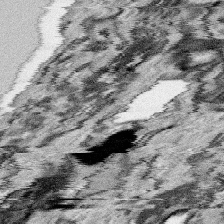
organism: Human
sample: HeLa cells